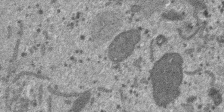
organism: Human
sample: Lung epithelial cells infected with SARS-CoV-2